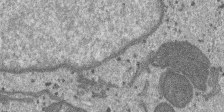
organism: Human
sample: Lung epithelial cells infected with SARS-CoV-2